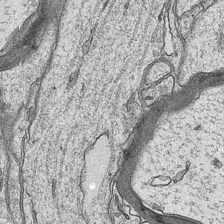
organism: Mouse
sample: CA1 Hippocampus